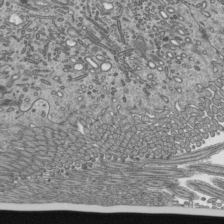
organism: Mouse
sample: Mouse epididymis efferent ductule cilia